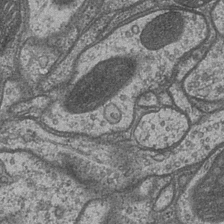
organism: Drosophila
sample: Optic medulla